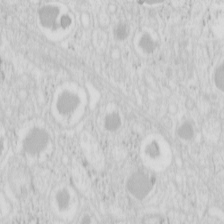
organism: Mouse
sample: Pancreas